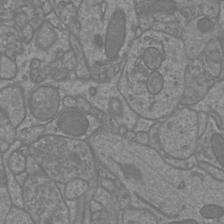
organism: Mouse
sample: Cortical neurons